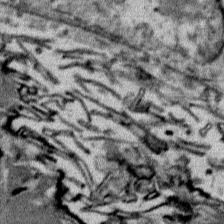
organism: Mouse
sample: Mouse Salivary gland